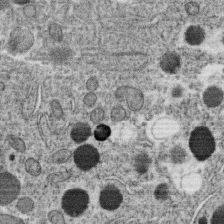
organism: C. elegans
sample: C. elegans oocyte; sperm cells